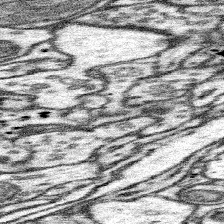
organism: Mouse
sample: Somatosensory cortex neuropil